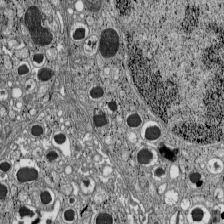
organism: C57BL Mouse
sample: Pancreatic islet